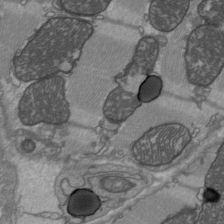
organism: C57BL Mouse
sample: Heart